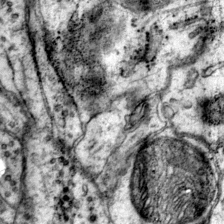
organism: Mouse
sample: Primary visual cortex